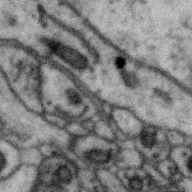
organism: Zebra finch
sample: Brain